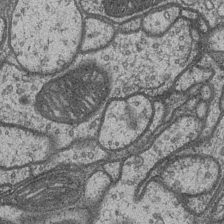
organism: Drosophila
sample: Optic medulla